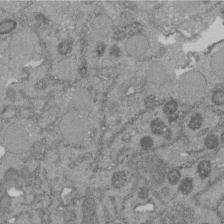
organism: C. elegans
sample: C. elegans embryo early stage